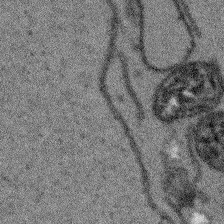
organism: Arabidopsis thaliana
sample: Root tip